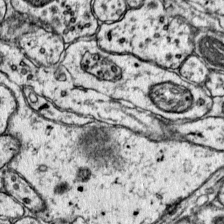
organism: Mouse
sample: Primary visual cortex